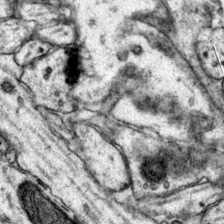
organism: Mouse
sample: Primary visual cortex